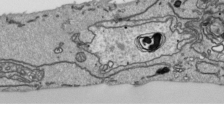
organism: Human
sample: Mitochondria in HCT116 cells